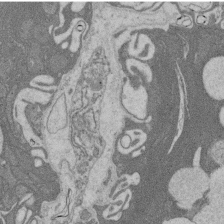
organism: Rat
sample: Salivary granule